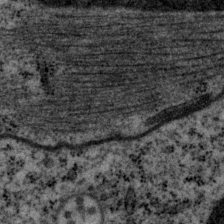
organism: P. pacificus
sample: Pharynx